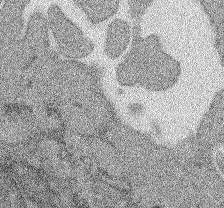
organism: Human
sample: HeLa cells